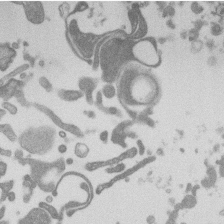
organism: Mouse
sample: Dividing mouse embryo 1 cell stage